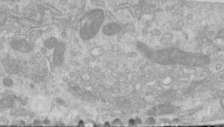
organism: Human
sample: Centriole in RPE cells